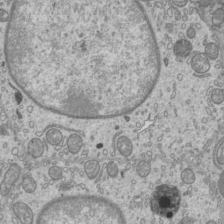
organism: Mouse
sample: Cilia; mouse epididymis